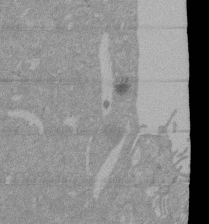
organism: Mouse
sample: ED-1 cell nuclei; centrioles